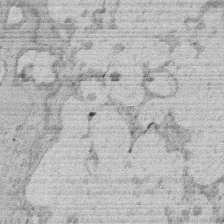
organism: Rat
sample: Salivary granule